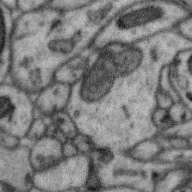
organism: Zebra finch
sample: Brain